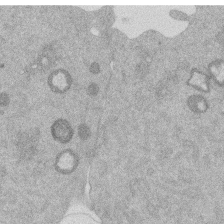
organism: Mouse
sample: Dividing mouse embryo 1 cell stage